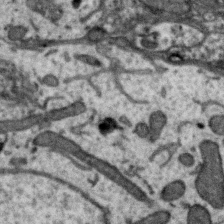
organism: Zebra finch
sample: Brain